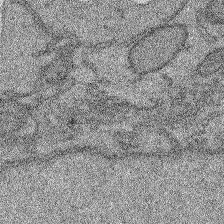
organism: Human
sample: HeLa cells